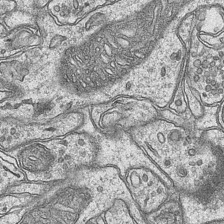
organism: Mouse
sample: CA1 Hippocampus